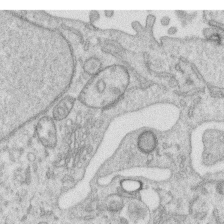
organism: Human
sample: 1205lu cells